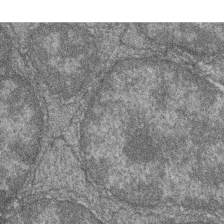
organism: Zebrafish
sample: Cilia; retinal pigment epithelium